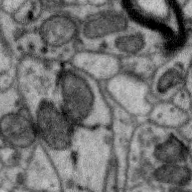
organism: Zebra finch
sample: Brain